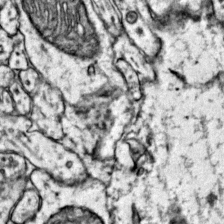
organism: Mouse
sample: Primary visual cortex